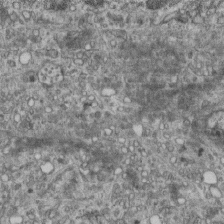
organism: Mouse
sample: Centriole in ependymal cells